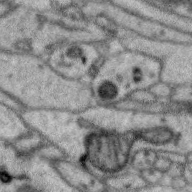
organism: Zebra finch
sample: Brain